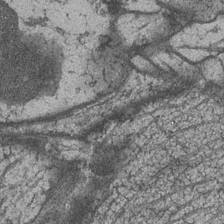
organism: Drosophila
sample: Optic medulla